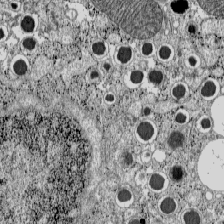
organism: C57BL Mouse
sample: Pancreatic islet